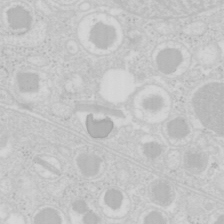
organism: Mouse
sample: Pancreas